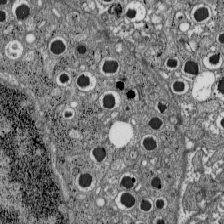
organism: C57BL Mouse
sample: Pancreatic islet